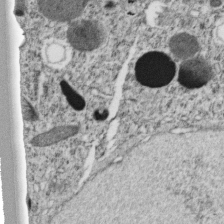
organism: C. elegans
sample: C. elegans embryo early stage